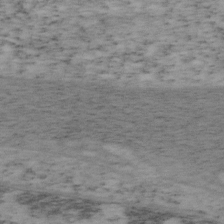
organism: Mouse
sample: OT-I killer T cells with ID8 ovarian cancer cells